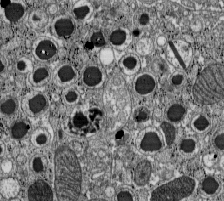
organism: C57BL Mouse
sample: Pancreatic islet